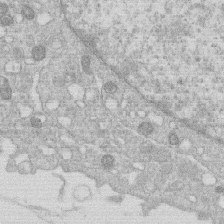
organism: Human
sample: Macrophage cells